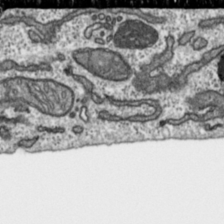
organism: Toxoplasma gondii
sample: Parasites in a vacuole inside a host cell